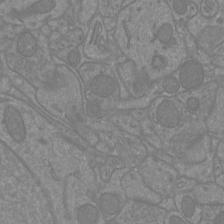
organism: Mouse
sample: Cortical neurons